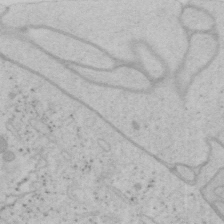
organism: Human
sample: HeLa cells